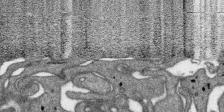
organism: Human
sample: Lung epithelial cells, uninfected (mock) control